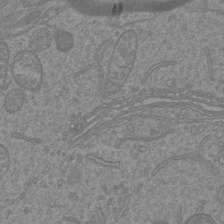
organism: Mouse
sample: Cortical neurons